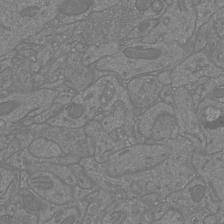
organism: Mouse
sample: Cortical neurons